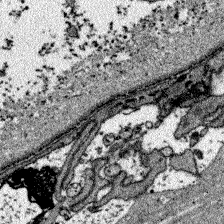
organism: Zebrafish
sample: Larval olfactory bulb